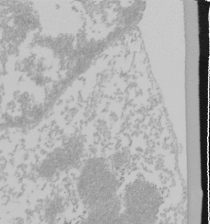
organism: Mouse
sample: Cancer cell death in ED-1 cells